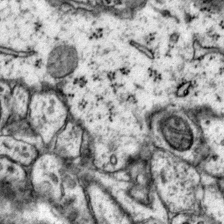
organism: Mouse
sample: Primary visual cortex